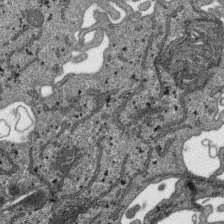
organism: Human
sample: Lung epithelial cells infected with SARS-CoV-2